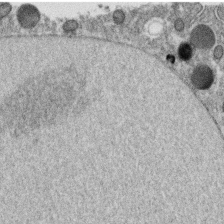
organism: C. elegans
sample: C. elegans oocyte; sperm cells